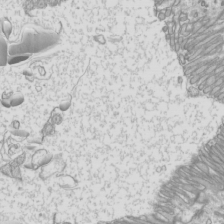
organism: Mouse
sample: Cilia; mouse epididymis